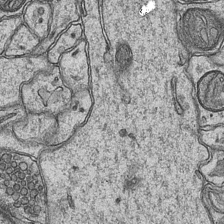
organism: Mouse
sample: CA1 Hippocampus